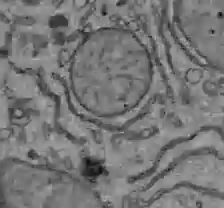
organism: C57BL Mouse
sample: Liver